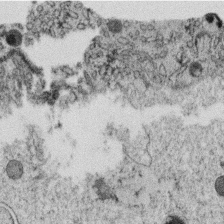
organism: C. elegans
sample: C. elegans oocyte; sperm cells